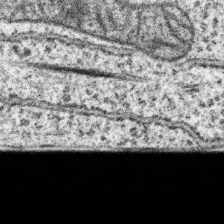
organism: Human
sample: HeLa cells